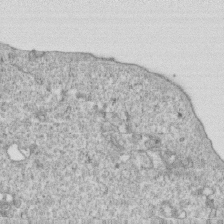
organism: Mouse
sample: Activated OT-1 CD8+ T cells